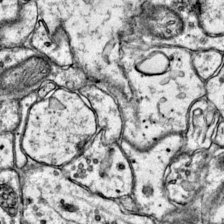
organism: Mouse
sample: Primary visual cortex